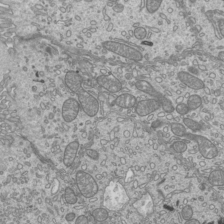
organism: Mouse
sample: Cilia; mouse epididymis